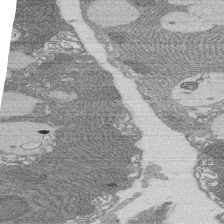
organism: Rat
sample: Salivary granule